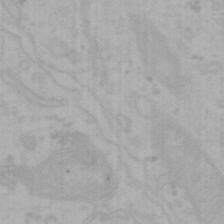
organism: Mouse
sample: Choroid plexus